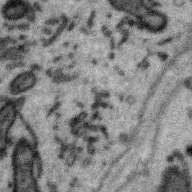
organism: Zebra finch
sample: Brain